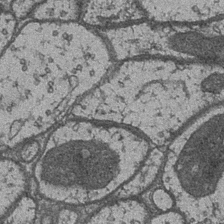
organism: Drosophila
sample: Optic medulla